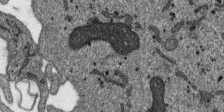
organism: Human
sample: Lung epithelial cells infected with SARS-CoV-2